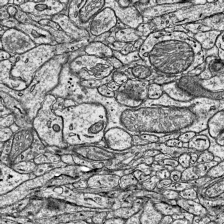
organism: Mouse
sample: Visual Cortex